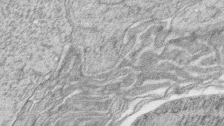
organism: Zebrafish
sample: synaptic ribbons in rod cells and cone cells